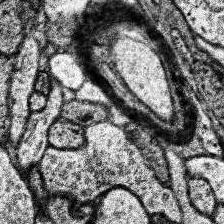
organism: Human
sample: Temporal Lobe